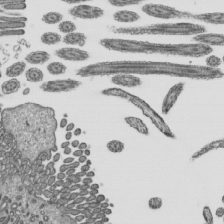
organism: Mouse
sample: Mouse epididymis efferent ductule cilia